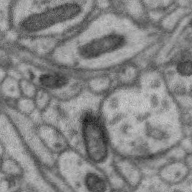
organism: Zebra finch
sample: Brain